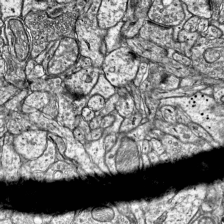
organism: Mouse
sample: Visual Cortex